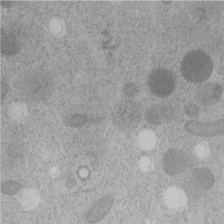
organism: C. elegans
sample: C. elegans embryo early stage